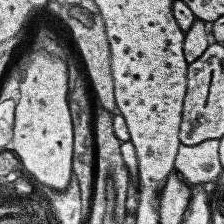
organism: Human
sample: Temporal Lobe